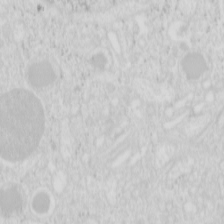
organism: Mouse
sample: Pancreas